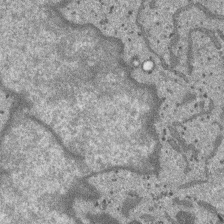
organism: Human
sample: Lung epithelial cells infected with SARS-CoV-2